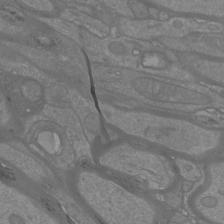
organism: Mouse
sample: Cortical neurons